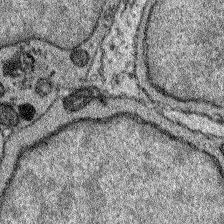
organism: Zebrafish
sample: Larval olfactory bulb